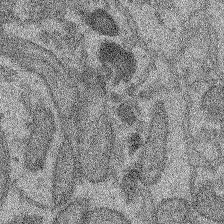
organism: Human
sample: HeLa cells